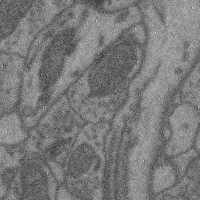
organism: Mouse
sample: Cerebral cortex